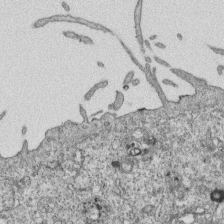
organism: Human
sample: HeLa cell HIV synapse